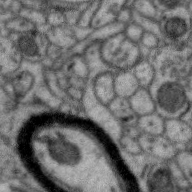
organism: Zebra finch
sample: Brain